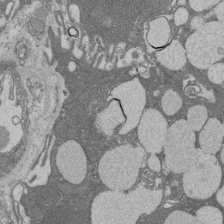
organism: Rat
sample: Salivary granule